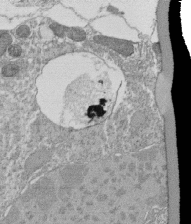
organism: Tetrahymena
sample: Cilia in tetrahymena